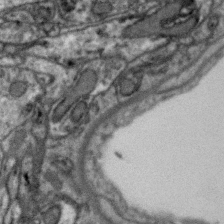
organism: Zebra finch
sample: Brain